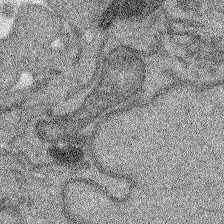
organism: Human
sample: HeLa cells